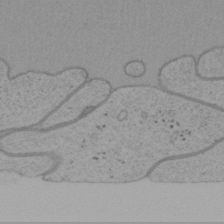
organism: Human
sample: HeLa cells